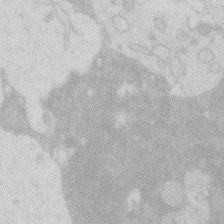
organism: Zebrafish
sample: Macrophage